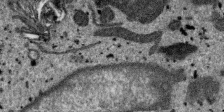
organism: Human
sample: Lung epithelial cells, uninfected (mock) control